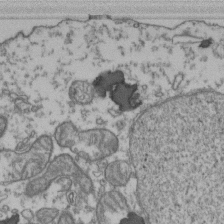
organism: Human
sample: Activated Jurkat CD4+ T cells